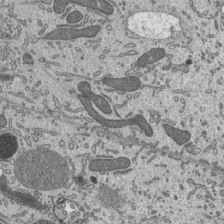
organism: Mouse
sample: Mouse epididymis efferent ductule cilia